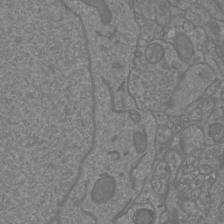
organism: Mouse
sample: Cortical neurons